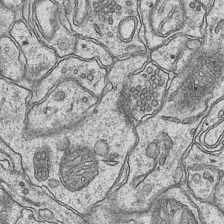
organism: Mouse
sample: CA1 Hippocampus